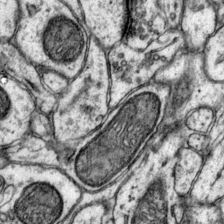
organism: Mouse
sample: Primary visual cortex